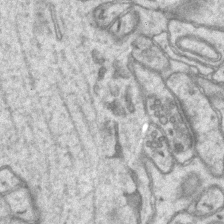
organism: Mouse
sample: CA1 Hippocampus